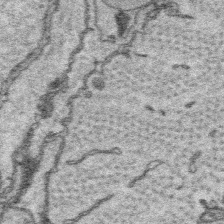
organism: Platynereis dumerilii